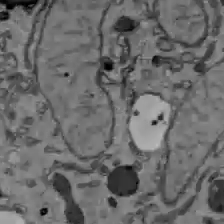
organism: C57BL Mouse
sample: Liver